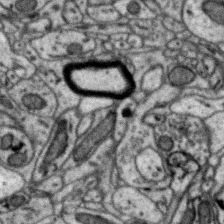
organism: Zebra finch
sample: Brain